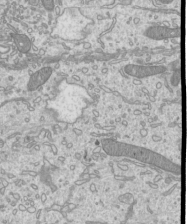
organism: Mouse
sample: Cilia; mouse epididymis